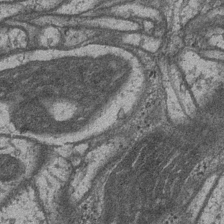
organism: Drosophila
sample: Optic medulla